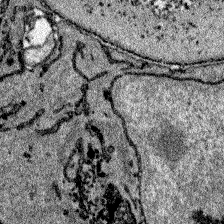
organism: Zebrafish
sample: Larval olfactory bulb